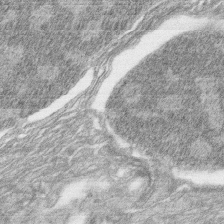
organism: Zebrafish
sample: synaptic ribbons in rod cells and cone cells